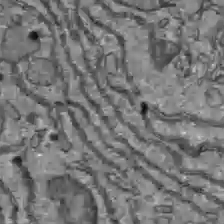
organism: C57BL Mouse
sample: Liver